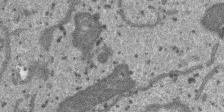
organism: Human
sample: Lung epithelial cells infected with SARS-CoV-2